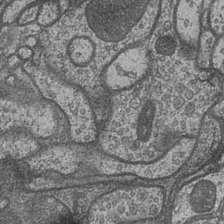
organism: Drosophila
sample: Optic medulla